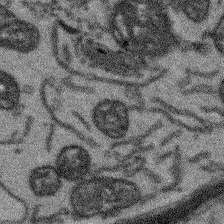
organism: Arabidopsis thaliana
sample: Root tip